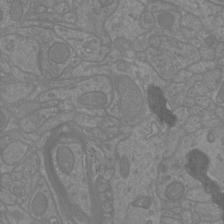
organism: Mouse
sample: Cortical neurons